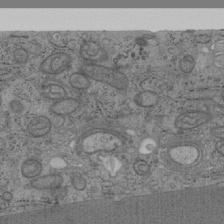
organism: Human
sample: HeLa cells